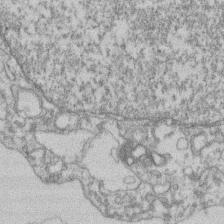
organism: Mouse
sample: T cell stromal cell synapse